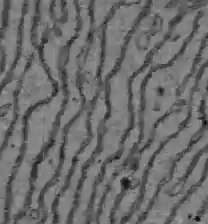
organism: C57BL Mouse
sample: Liver